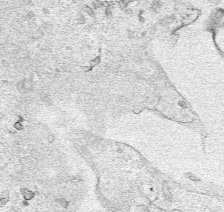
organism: Human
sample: Mitochondria in HCT116 cells